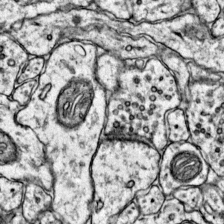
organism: Mouse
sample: Primary visual cortex